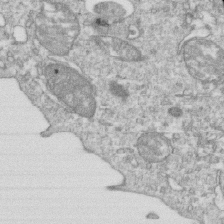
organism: Mouse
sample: Activated OT-1 CD8+ T cells